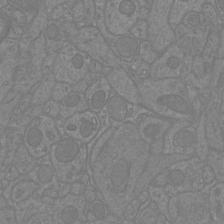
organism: Mouse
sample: Cortical neurons